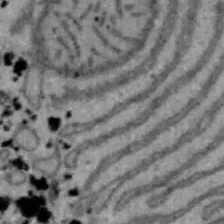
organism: Mouse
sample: Liver